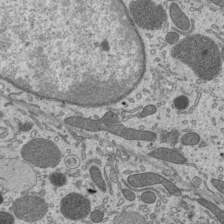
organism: Mouse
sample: Mouse epididymis efferent ductule cilia